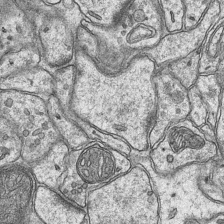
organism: Mouse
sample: CA1 Hippocampus